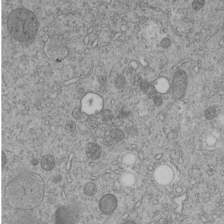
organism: C. elegans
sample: C. elegans embryo early stage